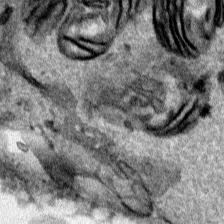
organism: Human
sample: Mitochondria in HCT116 cells